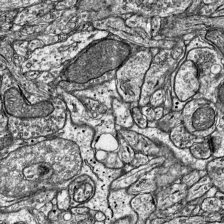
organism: Mouse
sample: Visual Cortex